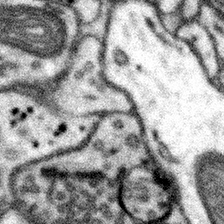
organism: Mouse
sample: Somatosensory cortex neuropil